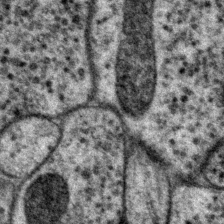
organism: P. pacificus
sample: Pharynx